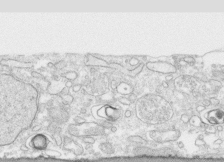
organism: Human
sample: CRL-1474